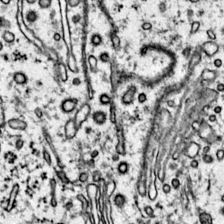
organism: Mouse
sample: Primary visual cortex